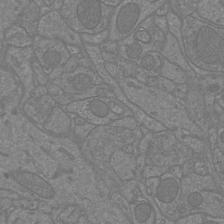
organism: Mouse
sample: Cortical neurons